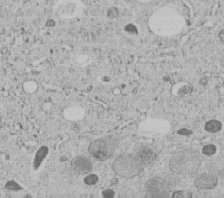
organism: C. elegans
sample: C. elegans embryo early stage